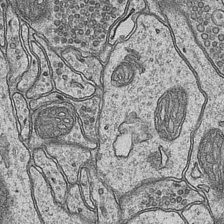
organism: Mouse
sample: CA1 Hippocampus